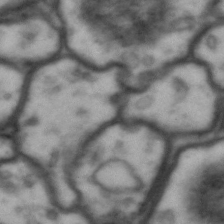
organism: Drosophila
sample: Brain